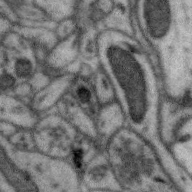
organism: Zebra finch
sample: Brain